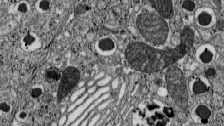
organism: C57BL Mouse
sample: Pancreatic islet